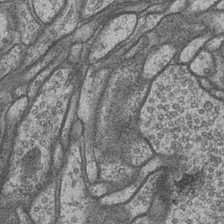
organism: Drosophila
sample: Optic medulla